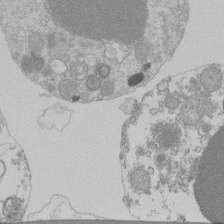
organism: Mouse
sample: Activated Pmel transgenic CD8+ T Cells